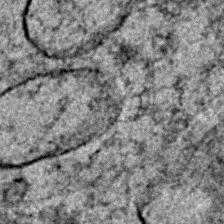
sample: Trachea